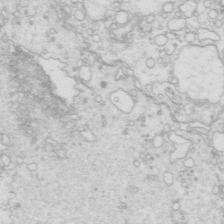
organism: Mouse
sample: Multiciliated cells